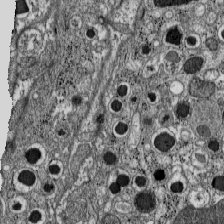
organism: C57BL Mouse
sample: Pancreatic islet